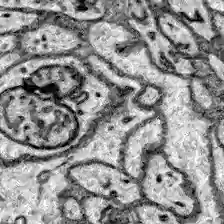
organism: Zebrafish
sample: Brain